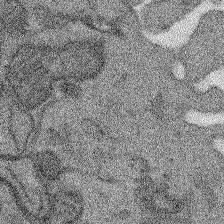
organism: Human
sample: HeLa cells